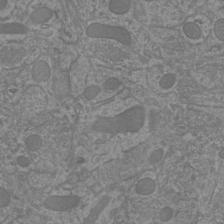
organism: Mouse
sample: Cortical neurons